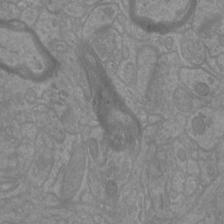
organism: Mouse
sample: Cortical neurons